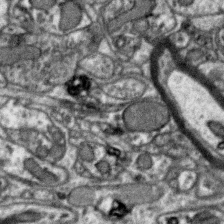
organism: Zebra finch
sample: Brain